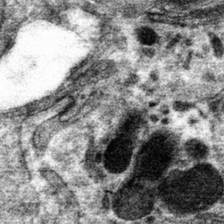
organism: Mouse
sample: Mouse hepatocytes